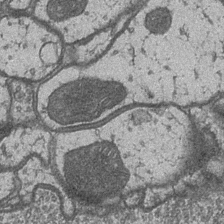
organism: Drosophila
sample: Optic medulla